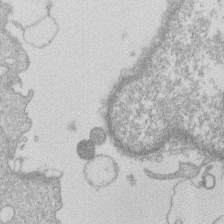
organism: Human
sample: Macrophage cells